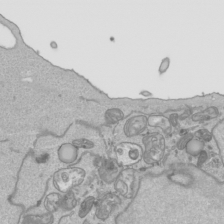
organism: Human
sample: Mitochondria in HCT116 cells